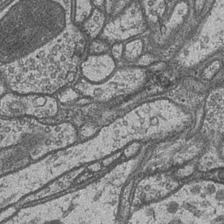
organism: Drosophila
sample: Optic medulla